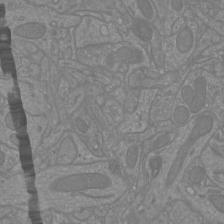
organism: Mouse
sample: Cortical neurons